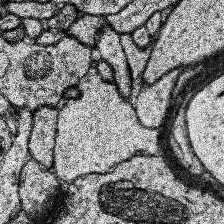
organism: Human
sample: Temporal Lobe